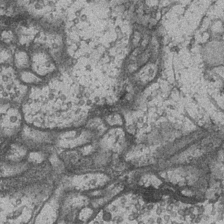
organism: Drosophila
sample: Optic medulla